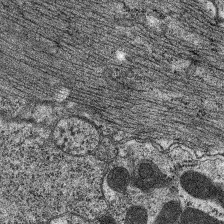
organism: C. elegans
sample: Pharynx